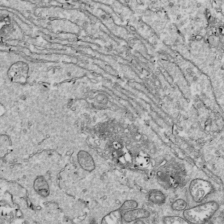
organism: Drosophila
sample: Cell division; meiosis; drosophila spermatocytes